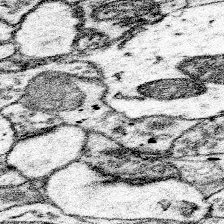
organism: Mouse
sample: Somatosensory cortex neuropil